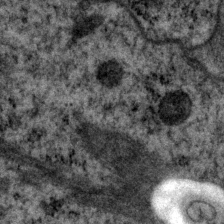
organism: P. pacificus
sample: Pharynx